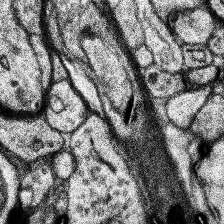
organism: Human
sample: Temporal Lobe